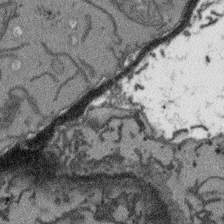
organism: Arabidopsis thaliana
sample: Root tip